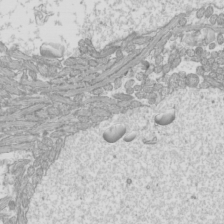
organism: Mouse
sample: Cilia; mouse epididymis